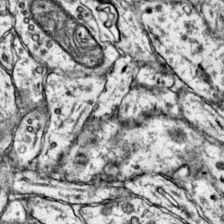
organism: Mouse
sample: Primary visual cortex